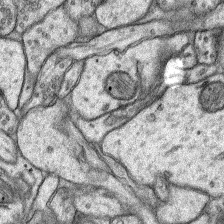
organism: Rat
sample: Hippocampus